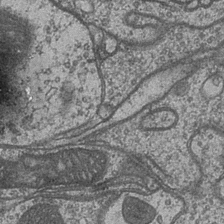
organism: Drosophila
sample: Optic medulla